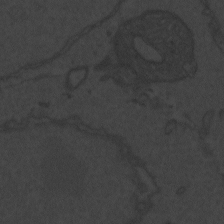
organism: Zebrafish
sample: Macrophage infected with Toxoplasma gondii